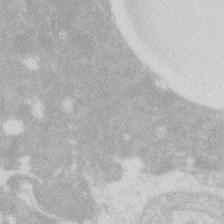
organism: Zebrafish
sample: Macrophage